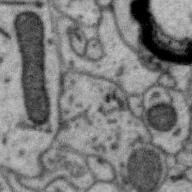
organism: Zebra finch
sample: Brain